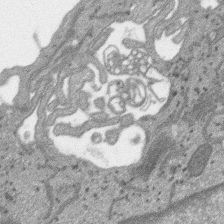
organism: Human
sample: Lung epithelial cells infected with SARS-CoV-2